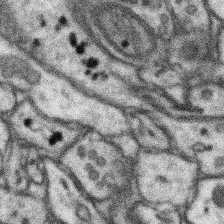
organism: Mouse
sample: Somatosensory cortex neuropil